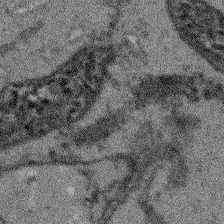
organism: Arabidopsis thaliana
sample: Root tip